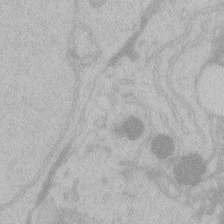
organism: Zebrafish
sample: Macrophage infected with Toxoplasma gondii